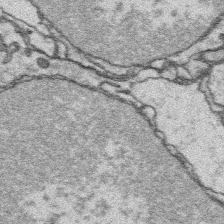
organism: Platynereis dumerilii